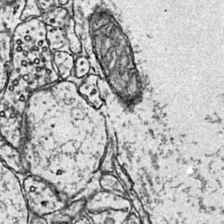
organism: Mouse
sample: Primary visual cortex